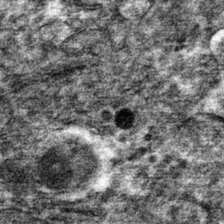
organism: Mouse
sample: Mouse hepatocytes